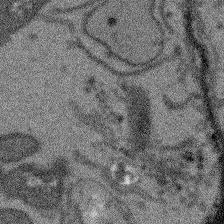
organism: Arabidopsis thaliana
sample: Root tip